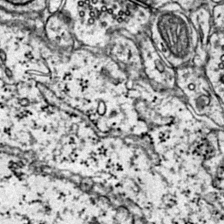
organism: Mouse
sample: Primary visual cortex